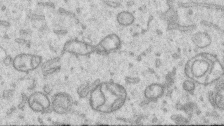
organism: Human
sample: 1205lu cells